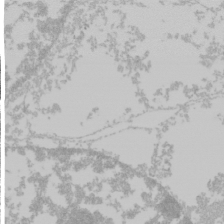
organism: Mouse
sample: Cancer cell death in ED-1 cells